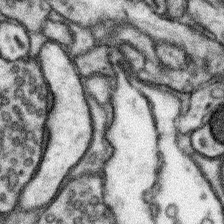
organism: Mouse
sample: Somatosensory cortex neuropil